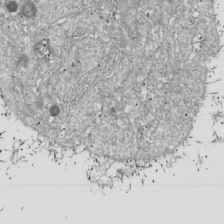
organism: Drosophila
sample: Cell division; meiosis; drosophila spermatocytes